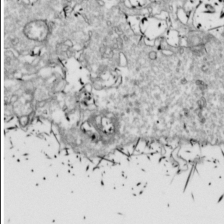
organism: Drosophila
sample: Cell division; meiosis; drosophila spermatocytes